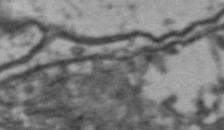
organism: Drosophila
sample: Brain